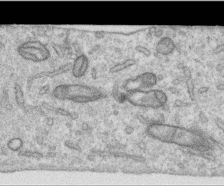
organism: Human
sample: Centriole in RPE cells